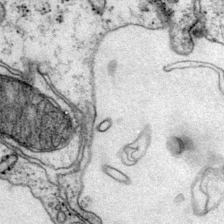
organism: Mouse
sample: Primary visual cortex